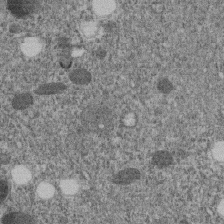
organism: C. elegans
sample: C. elegans embryo early stage